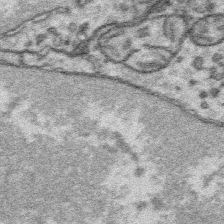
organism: Platynereis dumerilii